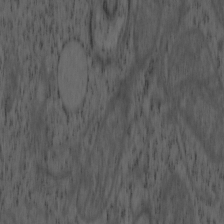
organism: Human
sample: HeLa cells